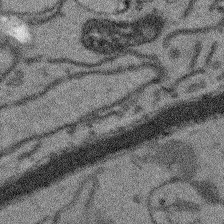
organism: Arabidopsis thaliana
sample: Root tip